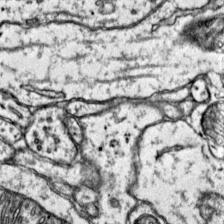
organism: Mouse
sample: Primary visual cortex